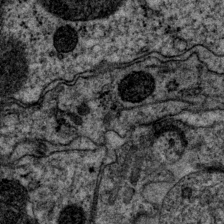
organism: P. pacificus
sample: Pharynx